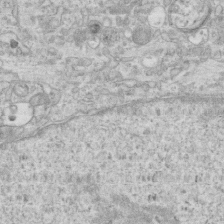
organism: Mouse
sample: Centriole in ependymal cells